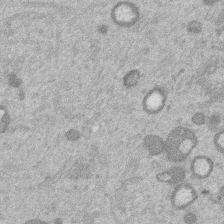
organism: Mouse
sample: Dividing mouse embryo 1 cell stage